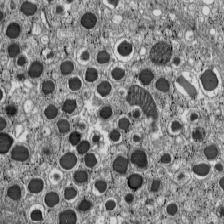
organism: C57BL Mouse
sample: Pancreatic islet